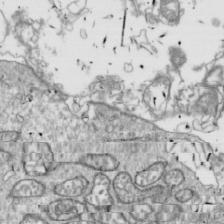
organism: Drosophila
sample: Cell division; meiosis; drosophila spermatocytes